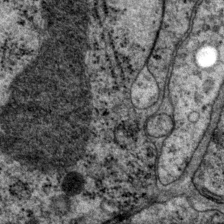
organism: P. pacificus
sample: Pharynx